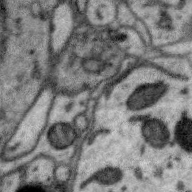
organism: Zebra finch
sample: Brain